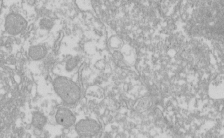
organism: Xenopus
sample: Cilia; centrioles in frog embryo cells